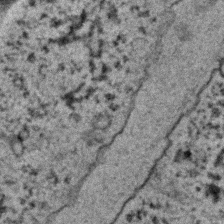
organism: C. elegans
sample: C. elegans embryo